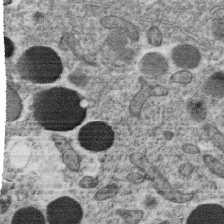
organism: C. elegans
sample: C. elegans oocyte; sperm cells